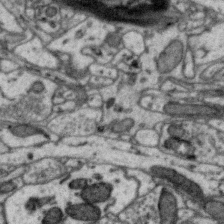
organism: Zebra finch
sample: Brain